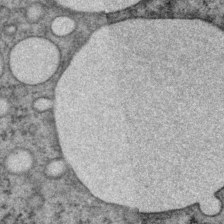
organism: P. pacificus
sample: Pharynx